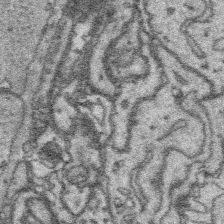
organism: Platynereis dumerilii